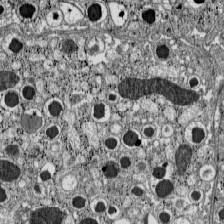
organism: C57BL Mouse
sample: Pancreatic islet